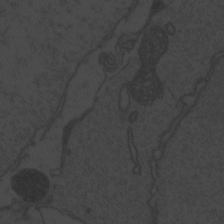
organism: Zebrafish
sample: Macrophage infected with Toxoplasma gondii